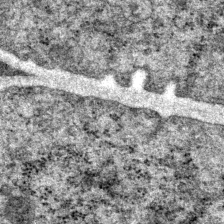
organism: P. pacificus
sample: Pharynx